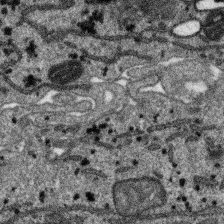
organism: Human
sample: Lung epithelial cells infected with SARS-CoV-2